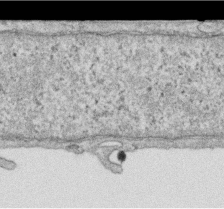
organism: Human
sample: Centriole in RPE cells